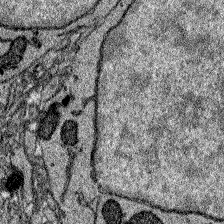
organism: Zebrafish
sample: Larval olfactory bulb